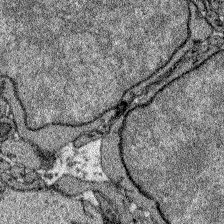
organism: Zebrafish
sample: Larval olfactory bulb